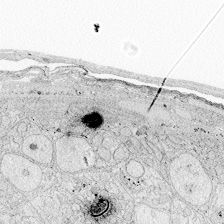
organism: Zebrafish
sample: Whole-Brain